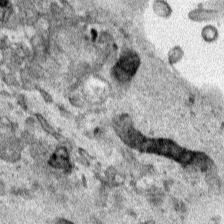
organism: Human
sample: Mitochondria in HCT116 cells